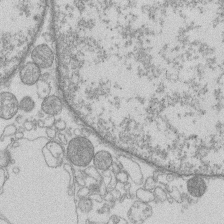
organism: Human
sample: Macrophage cells